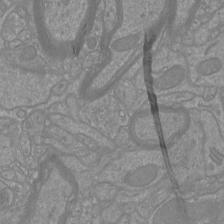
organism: Mouse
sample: Cortical neurons